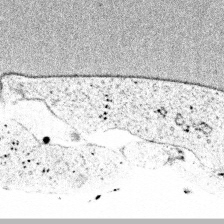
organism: Human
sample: HeLa cells